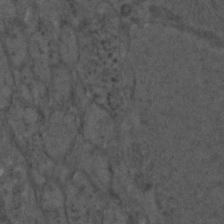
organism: C. elegans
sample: C. elegans embryo